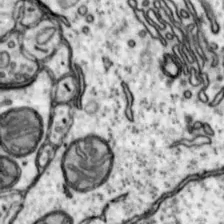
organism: Mouse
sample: Nucleus accumbens